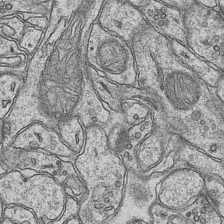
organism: Mouse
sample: CA1 Hippocampus